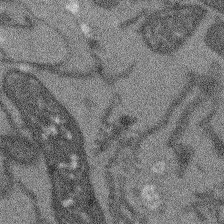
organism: Arabidopsis thaliana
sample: Root tip